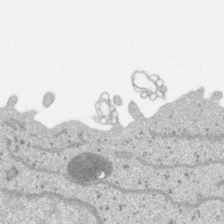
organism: Human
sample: Lung epithelial cells infected with SARS-CoV-2